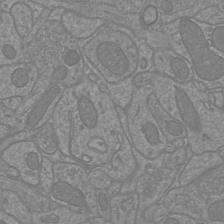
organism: Mouse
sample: Cortical neurons